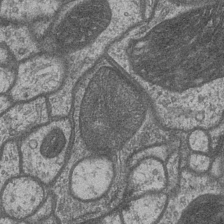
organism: Drosophila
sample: Optic medulla